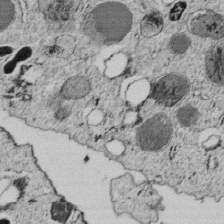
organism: C. elegans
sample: C. elegans embryo early stage